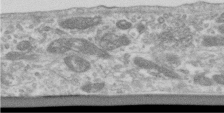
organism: Human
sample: Centriole in RPE cells